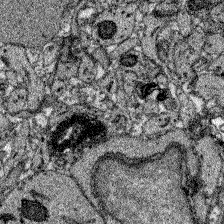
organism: Zebrafish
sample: Larval olfactory bulb